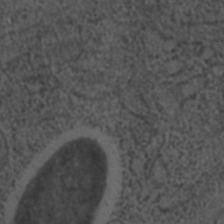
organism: C. elegans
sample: C. elegans embryo